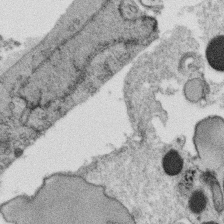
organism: C. elegans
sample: C. elegans oocyte; sperm cells